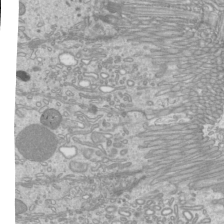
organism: Mouse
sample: Cilia; mouse epididymis